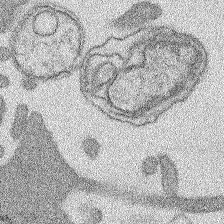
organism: Human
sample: HeLa cells